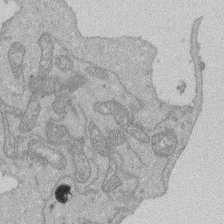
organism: Human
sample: Activated Jurkat CD4+ T cells